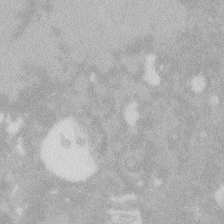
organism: Zebrafish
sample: Macrophage